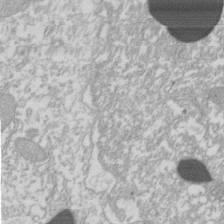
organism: Xenopus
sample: Cilia; centrioles in frog embryo cells